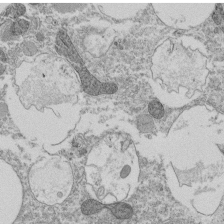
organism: Tetrahymena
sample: Cilia in tetrahymena